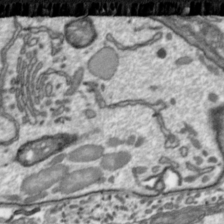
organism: Toxoplasma gondii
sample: Parasites in a vacuole inside a host cell